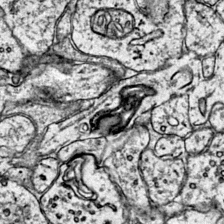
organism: Mouse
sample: Primary visual cortex